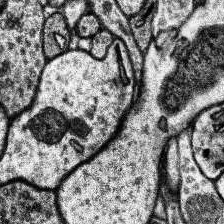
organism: Human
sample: Temporal Lobe